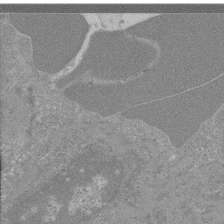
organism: Mouse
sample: Glomerulus